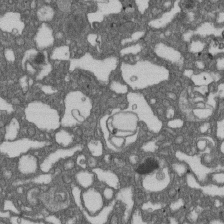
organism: Drosophila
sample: Nephrocyte